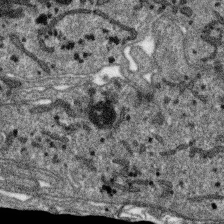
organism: Human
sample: Lung epithelial cells infected with SARS-CoV-2